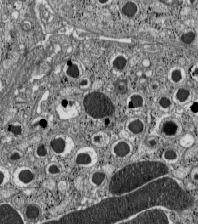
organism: C57BL Mouse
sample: Pancreatic islet